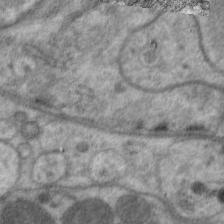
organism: C. elegans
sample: Pharynx